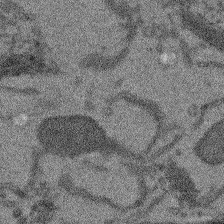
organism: Arabidopsis thaliana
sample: Root tip